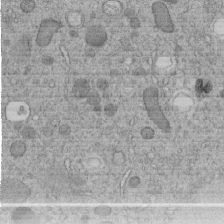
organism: C. elegans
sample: C. elegans embryo early stage